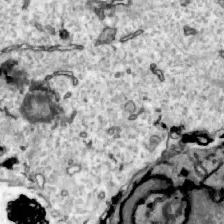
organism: Zebrafish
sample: Actinotrichia fibers